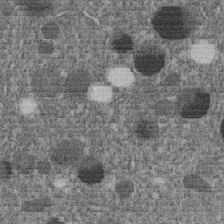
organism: C. elegans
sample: C. elegans embryo early stage